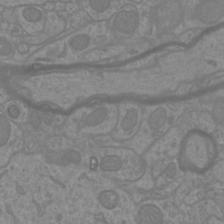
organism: Mouse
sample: Cortical neurons